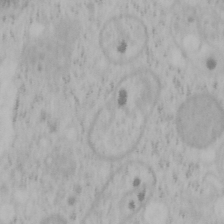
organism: Mouse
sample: OT-I killer T cells with ID8 ovarian cancer cells